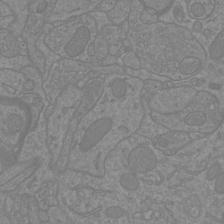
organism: Mouse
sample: Cortical neurons